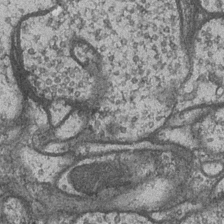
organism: Drosophila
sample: Optic medulla